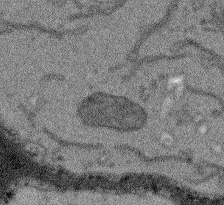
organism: Arabidopsis thaliana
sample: Root tip